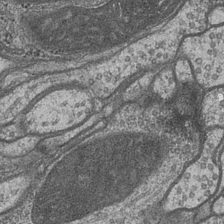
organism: Drosophila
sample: Optic medulla